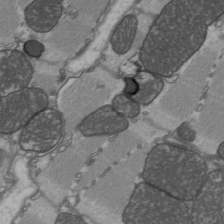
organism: C57BL Mouse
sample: Heart